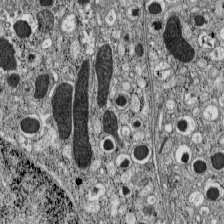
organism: C57BL Mouse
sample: Pancreatic islet